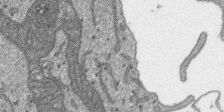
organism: Human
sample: Lung epithelial cells infected with SARS-CoV-2